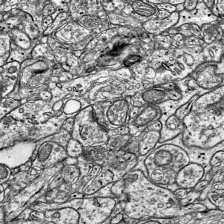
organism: Mouse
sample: Visual Cortex